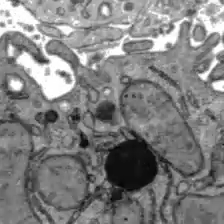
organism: C57BL Mouse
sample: Liver